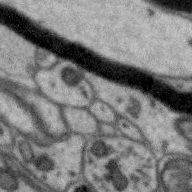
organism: Zebra finch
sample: Brain